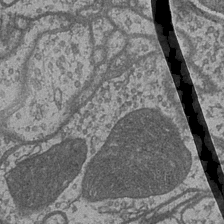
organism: Drosophila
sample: Optic medulla